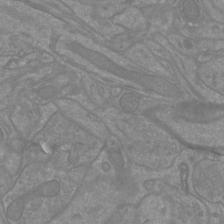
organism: Mouse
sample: Cortical neurons